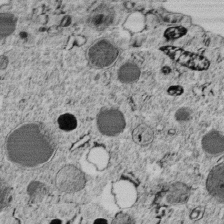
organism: C. elegans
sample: C. elegans embryo early stage